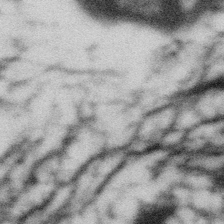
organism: Gemmata obscuriglobus